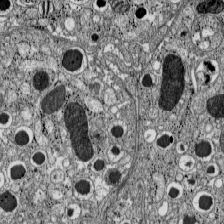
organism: C57BL Mouse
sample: Pancreatic islet